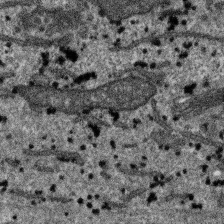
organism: Human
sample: Lung epithelial cells infected with SARS-CoV-2